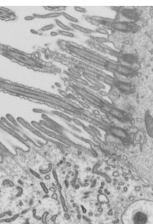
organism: Mouse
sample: Mouse epididymis efferent ductule cilia